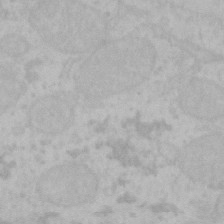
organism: Mouse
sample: Choroid plexus